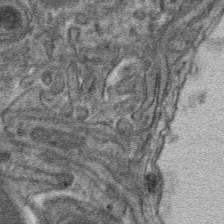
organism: Mouse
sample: Mouse hepatocytes